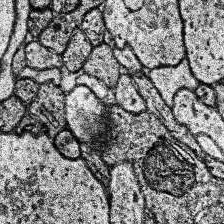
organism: Human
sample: Temporal Lobe